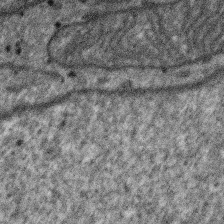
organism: Human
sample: Lung epithelial cells infected with SARS-CoV-2